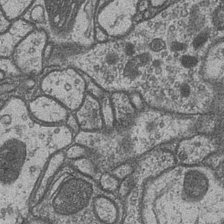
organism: Drosophila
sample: Optic medulla